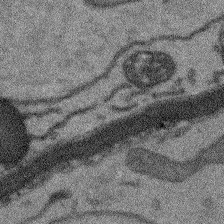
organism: Arabidopsis thaliana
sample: Root tip